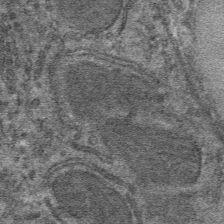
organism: Mouse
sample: Mouse hepatocytes